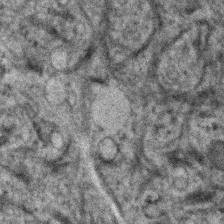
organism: Human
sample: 1205lu cells